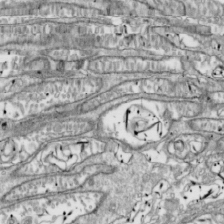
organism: Drosophila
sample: Cell division; meiosis; drosophila spermatocytes